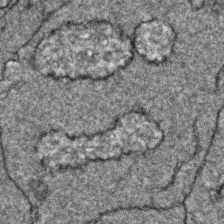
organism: Zebrafish